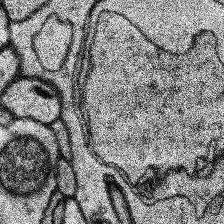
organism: Human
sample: Temporal Lobe